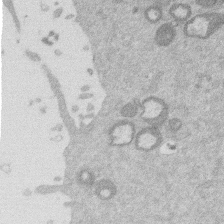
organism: Mouse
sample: Dividing mouse embryo 1 cell stage